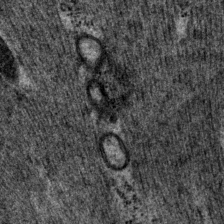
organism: P. pacificus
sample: Pharynx